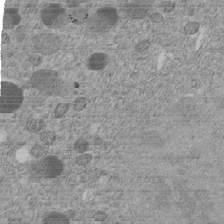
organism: C. elegans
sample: C. elegans embryo early stage